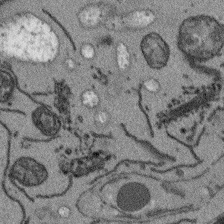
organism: Arabidopsis thaliana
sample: Root tip